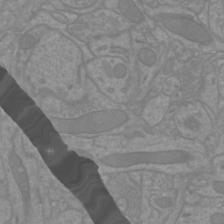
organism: Mouse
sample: Cortical neurons